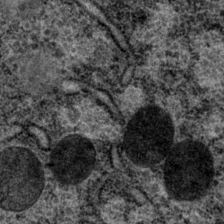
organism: P. pacificus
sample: Pharynx